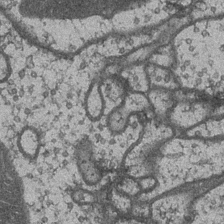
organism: Drosophila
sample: Optic medulla